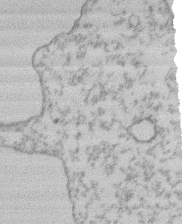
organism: Mouse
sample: T cell stromal cell synapse